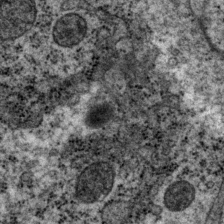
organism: P. pacificus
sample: Pharynx